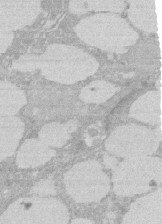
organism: Rat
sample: Salivary granule